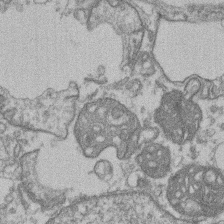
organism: Mouse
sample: T cell stromal cell synapse